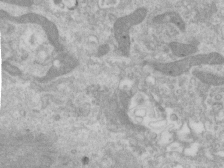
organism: Human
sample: Centriole in RPE cells